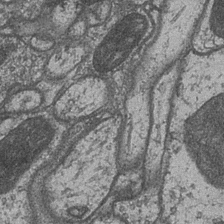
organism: Drosophila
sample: Optic medulla